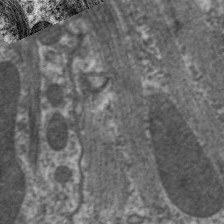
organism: C. elegans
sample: Pharynx